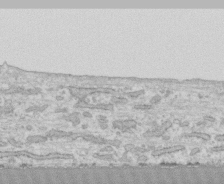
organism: Human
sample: CRL-1474